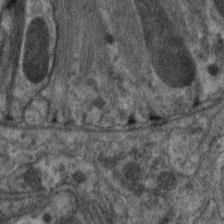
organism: C. elegans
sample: Pharynx